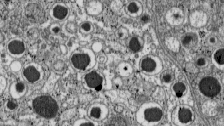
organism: C57BL Mouse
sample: Pancreatic islet